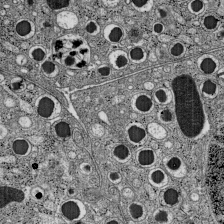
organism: C57BL Mouse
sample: Pancreatic islet